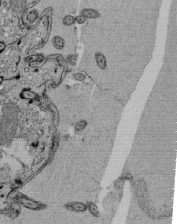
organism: Tetrahymena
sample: Cilia in tetrahymena